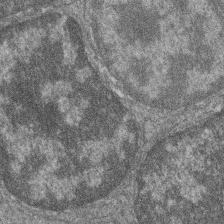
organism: Zebrafish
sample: Cilia; retinal pigment epithelium